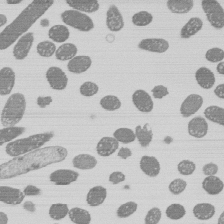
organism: E. coli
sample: Bacterial nucleoid